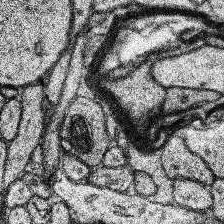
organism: Human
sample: Temporal Lobe